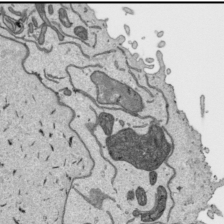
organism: Human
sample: Mitochondria in HCT116 cells